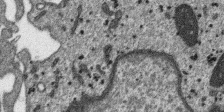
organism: Human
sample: Lung epithelial cells infected with SARS-CoV-2